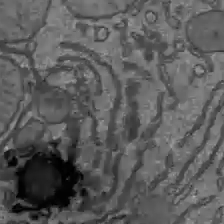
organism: C57BL Mouse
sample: Liver